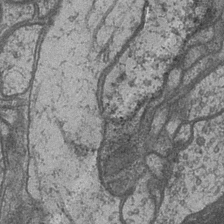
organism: Drosophila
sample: Optic medulla